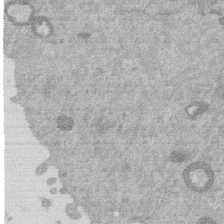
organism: Mouse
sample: Dividing mouse embryo 1 cell stage